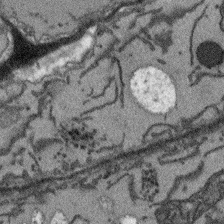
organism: Arabidopsis thaliana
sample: Root tip